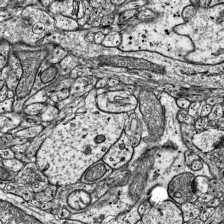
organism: Mouse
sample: Visual Cortex